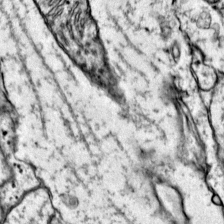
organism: Mouse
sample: Primary visual cortex